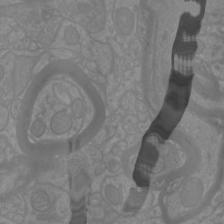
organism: Mouse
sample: Cortical neurons